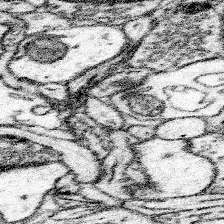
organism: Mouse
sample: Somatosensory cortex neuropil